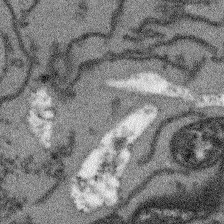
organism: Arabidopsis thaliana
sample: Root tip